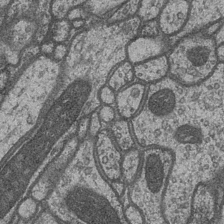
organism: Drosophila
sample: Optic medulla